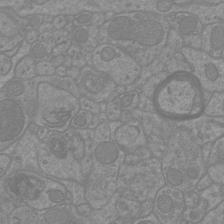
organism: Mouse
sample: Cortical neurons